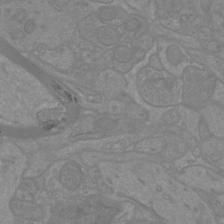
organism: Mouse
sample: Cortical neurons